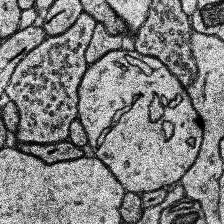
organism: Human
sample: Temporal Lobe